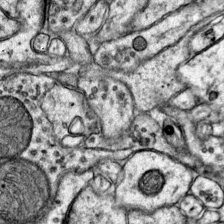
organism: Mouse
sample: Primary visual cortex